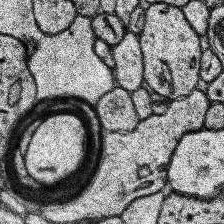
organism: Human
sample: Temporal Lobe